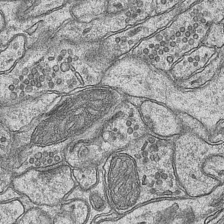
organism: Mouse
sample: CA1 Hippocampus